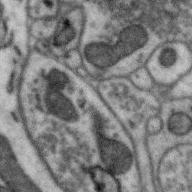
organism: Zebra finch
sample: Brain